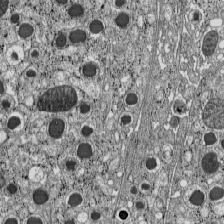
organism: C57BL Mouse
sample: Pancreatic islet